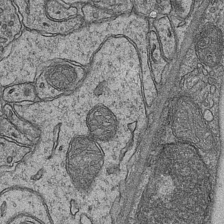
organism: Mouse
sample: CA1 Hippocampus